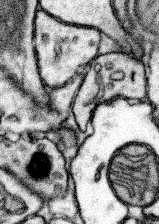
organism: Mouse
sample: Somatosensory cortex neuropil